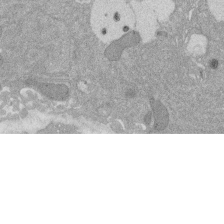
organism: Rat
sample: Salivary granule